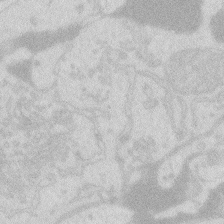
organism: Zebrafish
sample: Macrophage